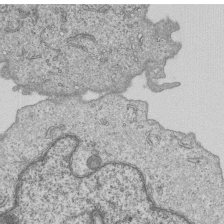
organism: Human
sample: MDA-MB-231 cells